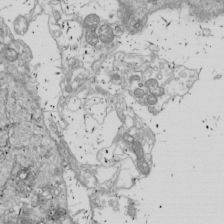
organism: Drosophila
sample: Cell division; meiosis; drosophila spermatocytes